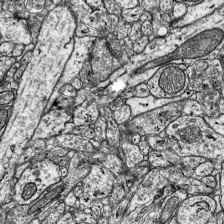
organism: Mouse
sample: Visual Cortex